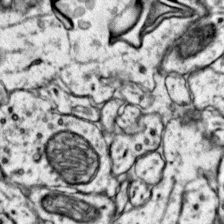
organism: Mouse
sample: Primary visual cortex